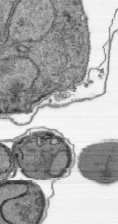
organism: Plasmodium falciparum